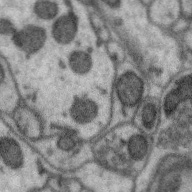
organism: Zebra finch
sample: Brain